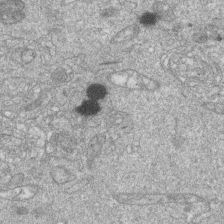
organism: Human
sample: HeLa cell HIV synapse